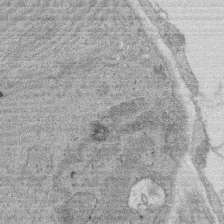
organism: Rat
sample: Salivary granule